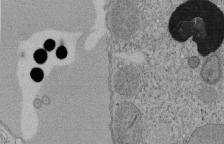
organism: Tetrahymena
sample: Cilia in tetrahymena